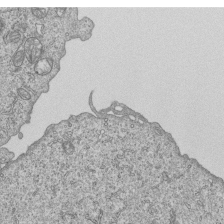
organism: Human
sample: MDA-MB-231 cells